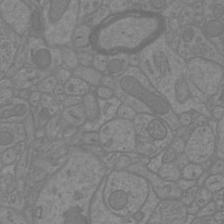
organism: Mouse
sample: Cortical neurons